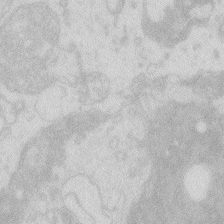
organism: Zebrafish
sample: Macrophage